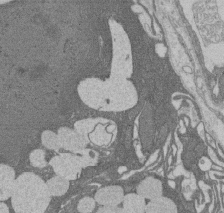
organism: Rat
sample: Salivary granule